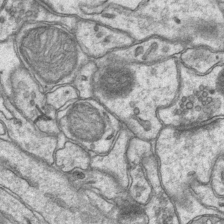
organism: Mouse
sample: CA1 Hippocampus